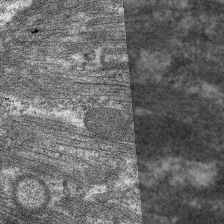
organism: C. elegans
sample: Pharynx